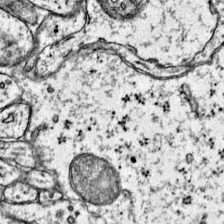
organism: Mouse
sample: Primary visual cortex